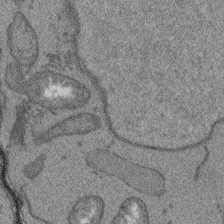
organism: Arabidopsis thaliana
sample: Root tip